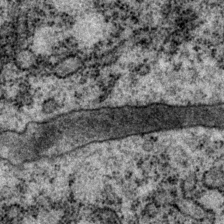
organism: P. pacificus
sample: Pharynx